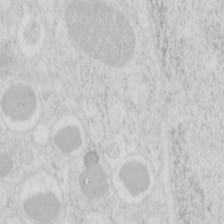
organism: Mouse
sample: Pancreas